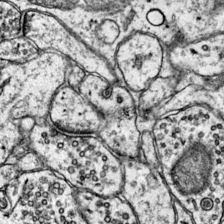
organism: Mouse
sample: Primary visual cortex